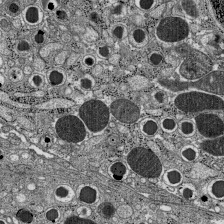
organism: C57BL Mouse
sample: Pancreatic islet